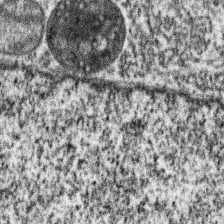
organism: Human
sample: HeLa cells